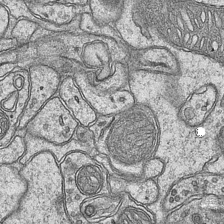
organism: Mouse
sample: CA1 Hippocampus